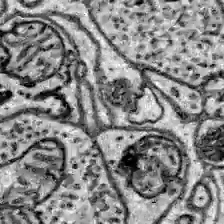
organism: Zebrafish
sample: Brain